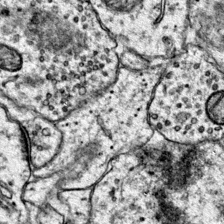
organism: Mouse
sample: Primary visual cortex